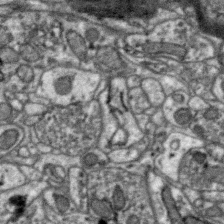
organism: Zebra finch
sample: Brain